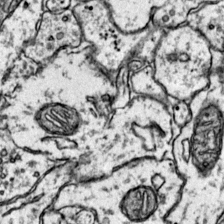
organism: Mouse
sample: Primary visual cortex